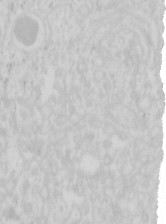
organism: Mouse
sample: Pancreas